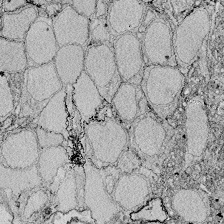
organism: Zebrafish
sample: Whole-Brain